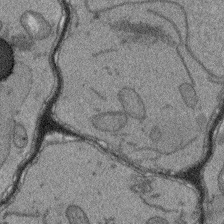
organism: Arabidopsis thaliana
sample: Root tip